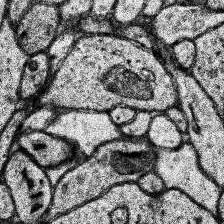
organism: Human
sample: Temporal Lobe